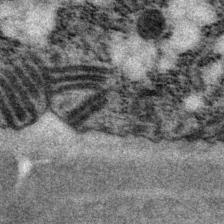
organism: P. pacificus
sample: Pharynx